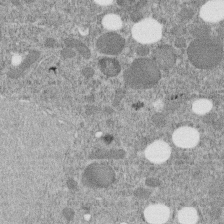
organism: C. elegans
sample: C. elegans embryo early stage